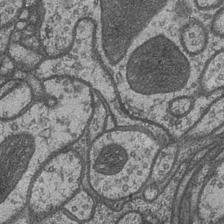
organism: Drosophila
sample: Optic medulla